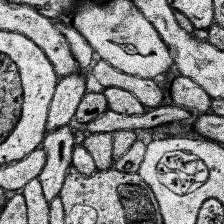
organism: Human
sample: Temporal Lobe